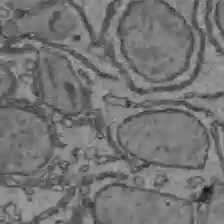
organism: C57BL Mouse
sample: Liver